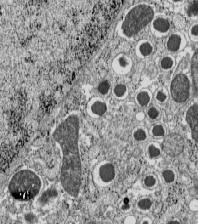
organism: C57BL Mouse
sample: Pancreatic islet